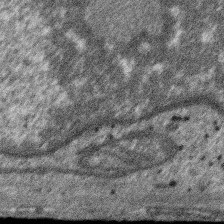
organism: Human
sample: Lung epithelial cells infected with SARS-CoV-2